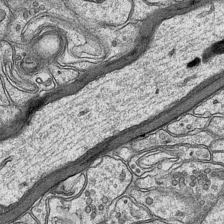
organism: Mouse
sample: CA1 Hippocampus